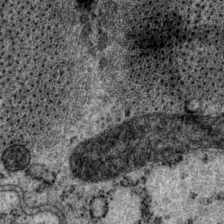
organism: P. pacificus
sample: Pharynx